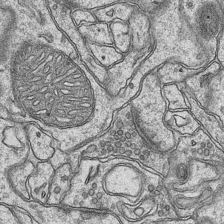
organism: Mouse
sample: CA1 Hippocampus